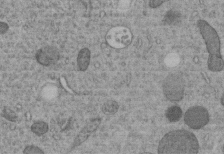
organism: C. elegans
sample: C. elegans embryo early stage